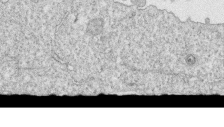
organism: Human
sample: HeLa cell HIV synapse